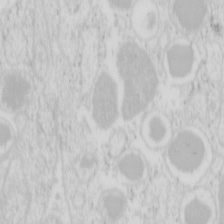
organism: Mouse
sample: Pancreas